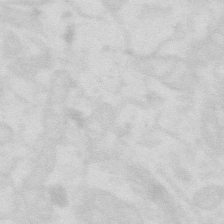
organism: Human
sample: HeLa cells